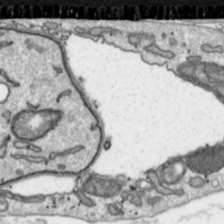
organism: Toxoplasma gondii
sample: Parasites in a vacuole inside a host cell